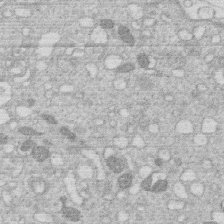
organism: Human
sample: Macrophage cells